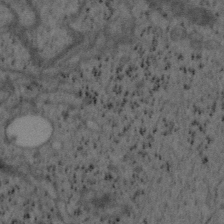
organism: Human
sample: HeLa cells